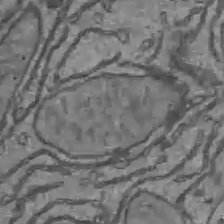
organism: C57BL Mouse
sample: Liver